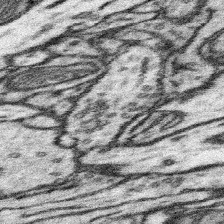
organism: Mouse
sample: Somatosensory cortex neuropil